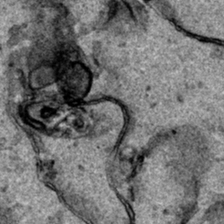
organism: Human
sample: Mitochondria in HCT116 cells